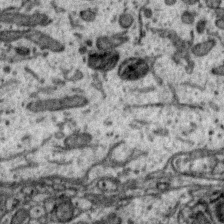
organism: Zebra finch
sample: Brain